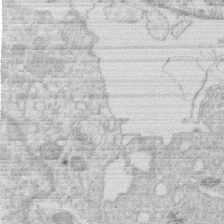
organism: Human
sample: Macrophage cells